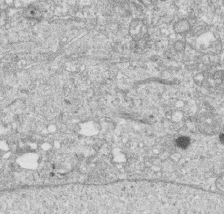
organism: Human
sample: HeLa cell HIV synapse